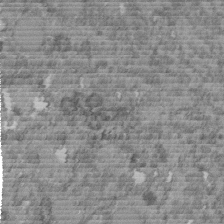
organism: C. elegans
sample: C. elegans embryo early stage